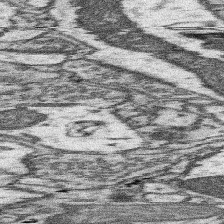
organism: Mouse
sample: Somatosensory cortex neuropil